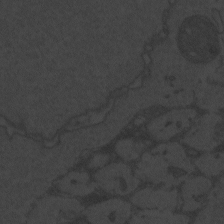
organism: Zebrafish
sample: Macrophage infected with Toxoplasma gondii